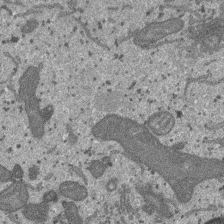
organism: Human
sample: Lung epithelial cells infected with SARS-CoV-2